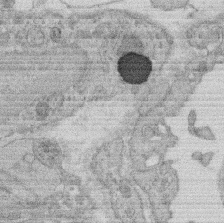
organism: Rat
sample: Salivary granule